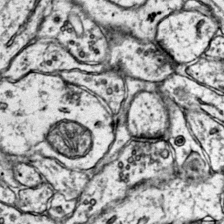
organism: Mouse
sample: Primary visual cortex